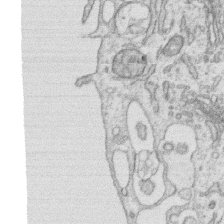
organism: Human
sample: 1205lu cells